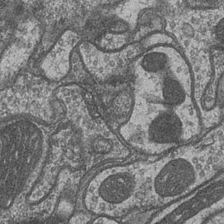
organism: Drosophila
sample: Optic medulla